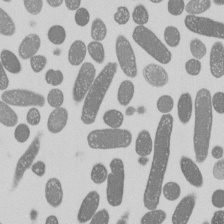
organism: E. coli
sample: Bacterial nucleoid